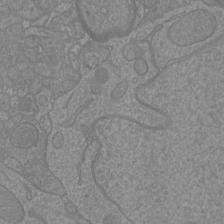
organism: Mouse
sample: Cortical neurons